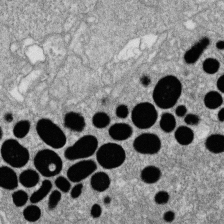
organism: Zebrafish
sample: Cilia; retinal pigment epithelium